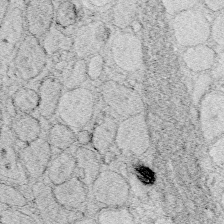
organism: Zebrafish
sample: Whole-Brain